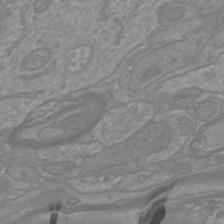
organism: Mouse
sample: Cortical neurons